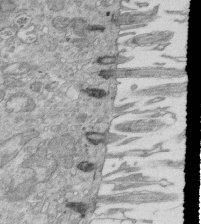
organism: Mouse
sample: Multiciliated cells